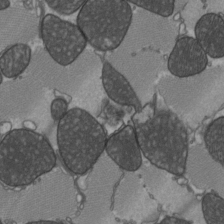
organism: C57BL Mouse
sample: Heart